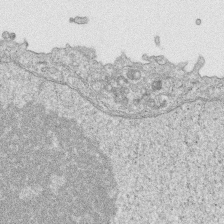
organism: Human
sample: HeLa cell HIV synapse